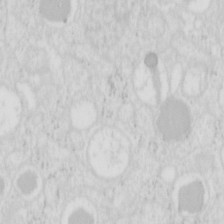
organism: Mouse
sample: Pancreas